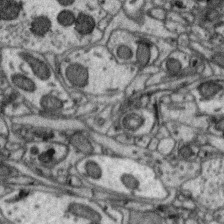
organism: Zebra finch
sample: Brain